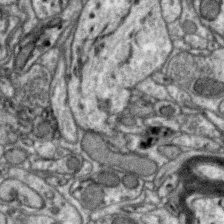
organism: Zebra finch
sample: Brain